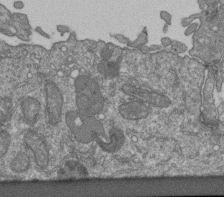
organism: Human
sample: Retinal organoid Rod and Cone cells